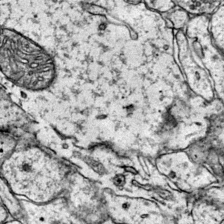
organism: Mouse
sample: Primary visual cortex